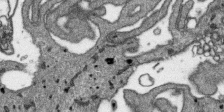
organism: Human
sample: Lung epithelial cells, uninfected (mock) control